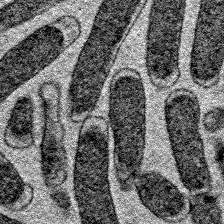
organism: E. coli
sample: E. Coli Bacteria